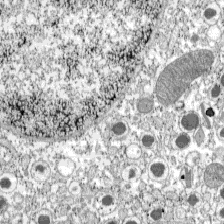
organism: C57BL Mouse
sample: Pancreatic islet